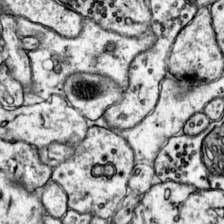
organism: Mouse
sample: Primary visual cortex